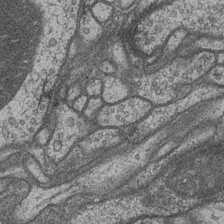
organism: Drosophila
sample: Optic medulla